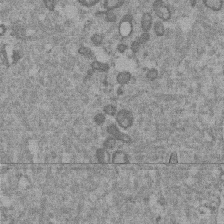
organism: Mouse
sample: Dividing mouse embryo 1 cell stage